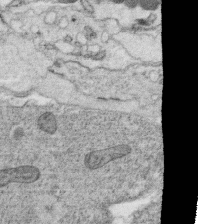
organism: C. elegans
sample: C. elegans oocyte; sperm cells